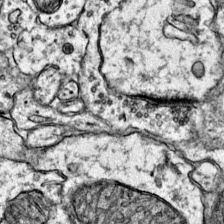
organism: Mouse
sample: Primary visual cortex